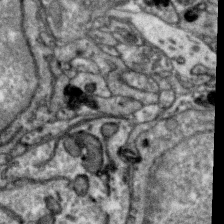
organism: Zebra finch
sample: Brain